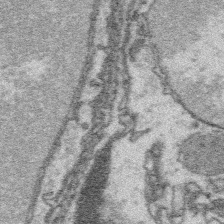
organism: Platynereis dumerilii